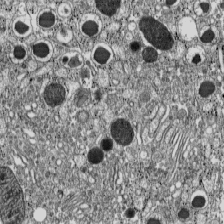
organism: C57BL Mouse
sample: Pancreatic islet